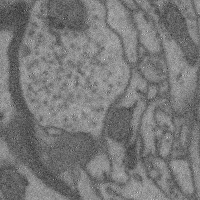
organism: Mouse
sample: Cerebral cortex